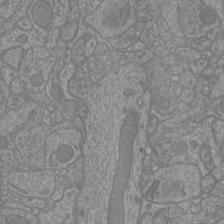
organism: Mouse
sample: Cortical neurons